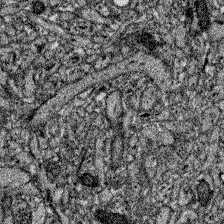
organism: Zebrafish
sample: Larval olfactory bulb